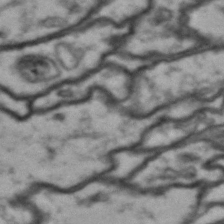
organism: Drosophila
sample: Brain